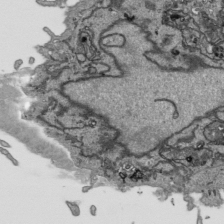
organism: Human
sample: Mitochondria in HCT116 cells